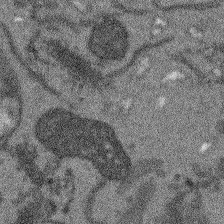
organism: Arabidopsis thaliana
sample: Root tip